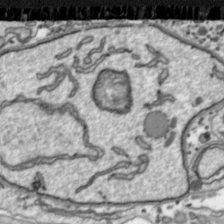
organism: Toxoplasma gondii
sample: Parasites in a vacuole inside a host cell